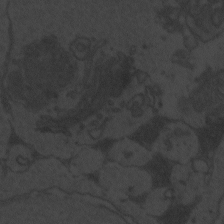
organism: Zebrafish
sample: Macrophage infected with Toxoplasma gondii